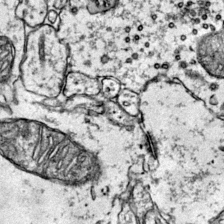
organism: Mouse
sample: Primary visual cortex